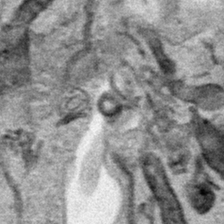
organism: Human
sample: Mitochondria in HCT116 cells